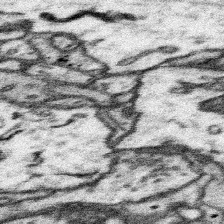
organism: Mouse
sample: Somatosensory cortex neuropil